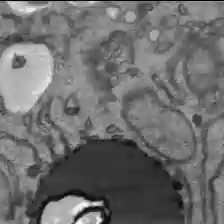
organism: C57BL Mouse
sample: Liver